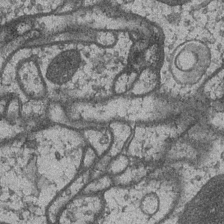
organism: Drosophila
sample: Optic medulla